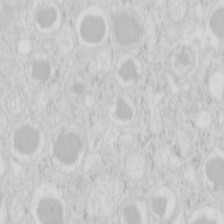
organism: Mouse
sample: Pancreas